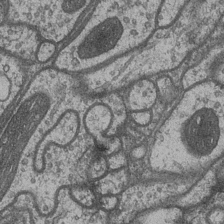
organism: Drosophila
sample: Optic medulla